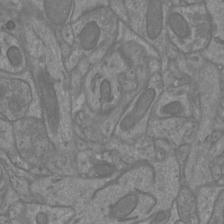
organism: Mouse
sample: Cortical neurons